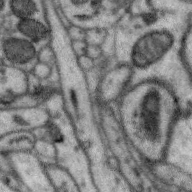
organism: Zebra finch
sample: Brain